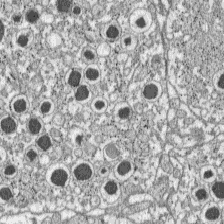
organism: C57BL Mouse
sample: Pancreatic islet